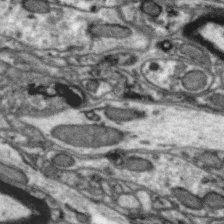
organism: Zebra finch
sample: Brain